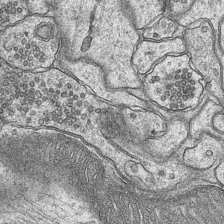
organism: Mouse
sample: CA1 Hippocampus